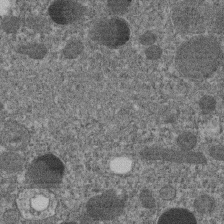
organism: C. elegans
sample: C. elegans embryo early stage